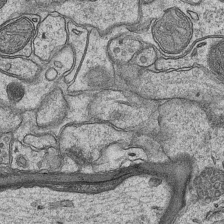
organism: Mouse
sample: CA1 Hippocampus